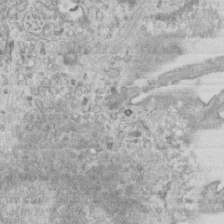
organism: Mouse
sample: Centriole in ependymal cells